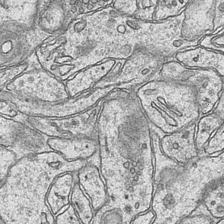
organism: Mouse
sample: CA1 Hippocampus